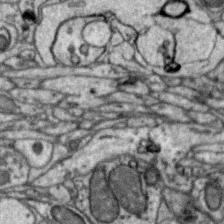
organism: Zebra finch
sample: Brain